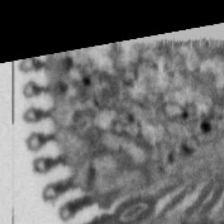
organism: Cable bacterium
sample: Filament